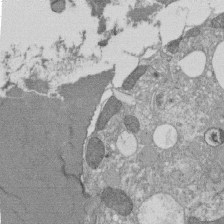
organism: Tetrahymena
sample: Cilia in tetrahymena